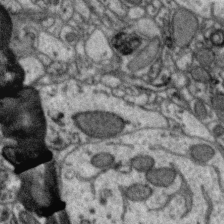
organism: Zebra finch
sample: Brain